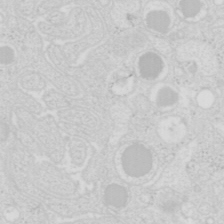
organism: Mouse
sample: Pancreas